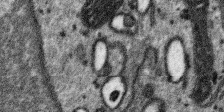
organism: Human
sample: Lung epithelial cells infected with SARS-CoV-2